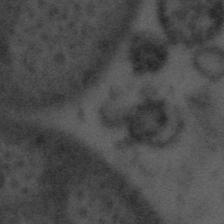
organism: Tuwongella immobilis